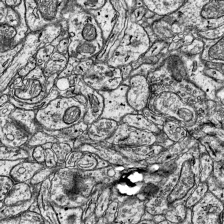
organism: Mouse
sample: Visual Cortex